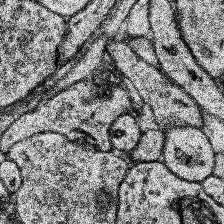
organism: Human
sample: Temporal Lobe